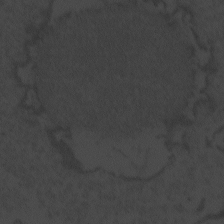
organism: Zebrafish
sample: Macrophage infected with Toxoplasma gondii